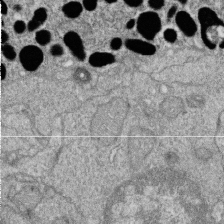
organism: Zebrafish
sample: Cilia; retinal pigment epithelium